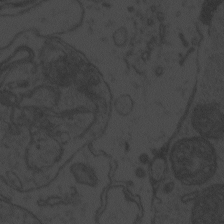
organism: Zebrafish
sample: Macrophage infected with Toxoplasma gondii